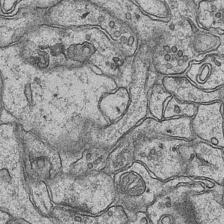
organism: Mouse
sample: CA1 Hippocampus